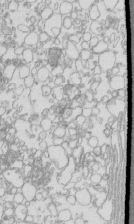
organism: Mouse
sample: Macrophages